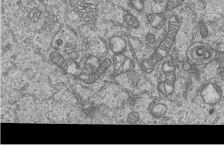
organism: Human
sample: MDA-MB-231 cells